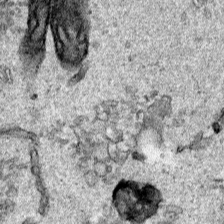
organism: Human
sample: Mitochondria in HCT116 cells